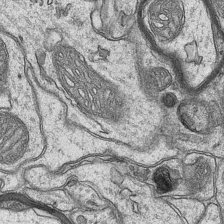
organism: Mouse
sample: CA1 Hippocampus